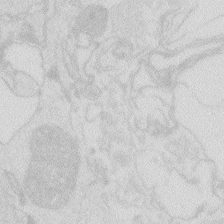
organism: Zebrafish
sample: Macrophage